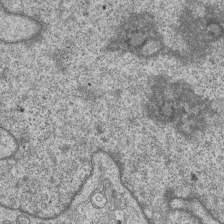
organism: Human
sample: MDA-MB-231 cells